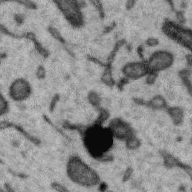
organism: Zebra finch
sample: Brain